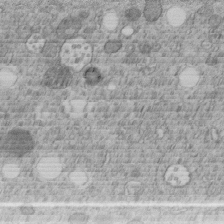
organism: C. elegans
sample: C. elegans embryo early stage